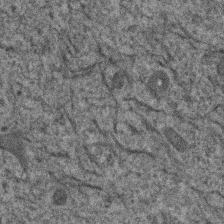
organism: Human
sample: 1205lu cells